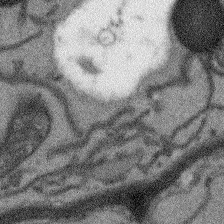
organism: Arabidopsis thaliana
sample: Root tip